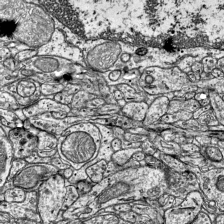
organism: Mouse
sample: Visual Cortex